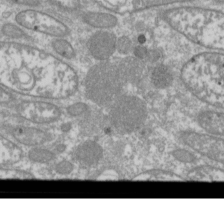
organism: Drosophila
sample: Cell division; meiosis; drosophila spermatocytes